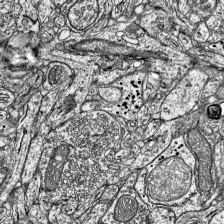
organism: Mouse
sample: Visual Cortex